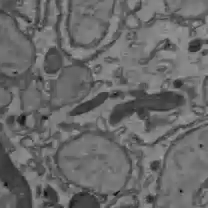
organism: C57BL Mouse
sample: Liver